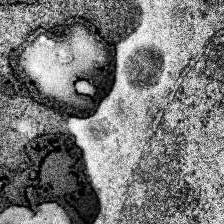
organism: Human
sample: Temporal Lobe